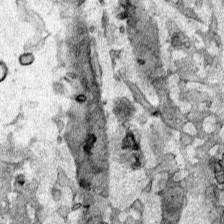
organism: Human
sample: Mitochondria in HCT116 cells